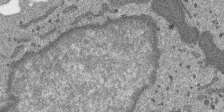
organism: Human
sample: Lung epithelial cells infected with SARS-CoV-2